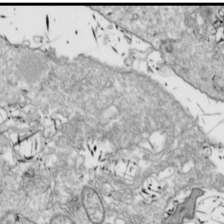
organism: Drosophila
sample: Cell division; meiosis; drosophila spermatocytes